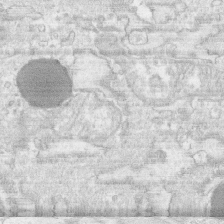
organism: Human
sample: CRL-1474